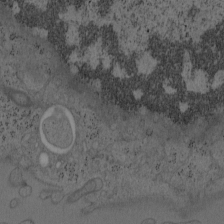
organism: Mouse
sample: OT-I killer T cells with ID8 ovarian cancer cells